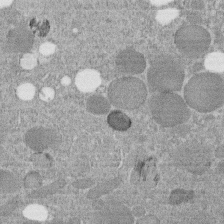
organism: C. elegans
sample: C. elegans embryo early stage